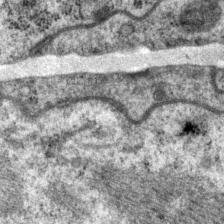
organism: P. pacificus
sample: Pharynx